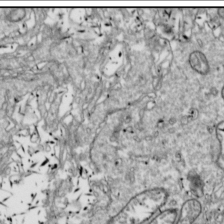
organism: Drosophila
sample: Cell division; meiosis; drosophila spermatocytes